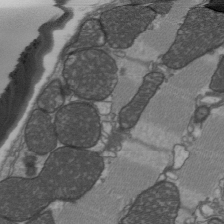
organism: C57BL Mouse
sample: Heart